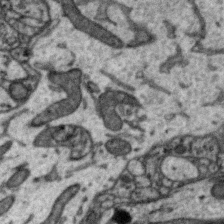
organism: Zebra finch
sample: Brain